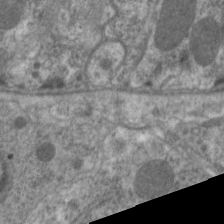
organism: C. elegans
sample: Pharynx